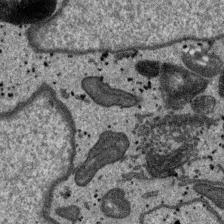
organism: Human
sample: Lung epithelial cells, uninfected (mock) control